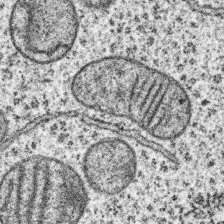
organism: Human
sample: HeLa cells